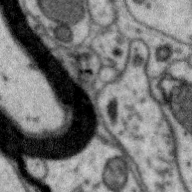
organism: Zebra finch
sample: Brain